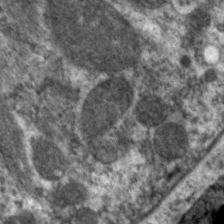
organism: C. elegans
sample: Pharynx